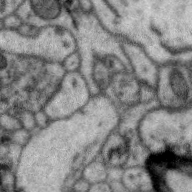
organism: Zebra finch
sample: Brain